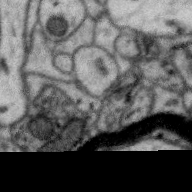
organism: Zebra finch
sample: Brain